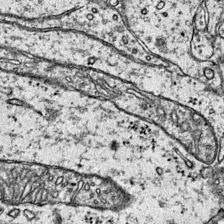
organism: Mouse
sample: Primary visual cortex